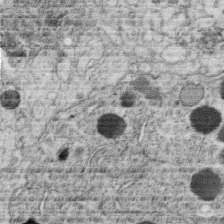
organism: C. elegans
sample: C. elegans oocyte; sperm cells